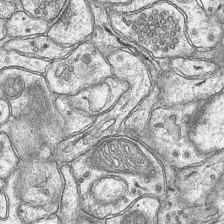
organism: Mouse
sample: CA1 Hippocampus